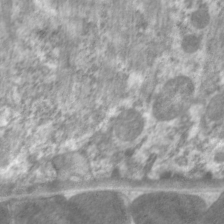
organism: C. elegans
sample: Pharynx